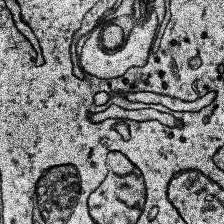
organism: Human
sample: Temporal Lobe